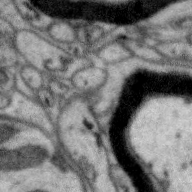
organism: Zebra finch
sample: Brain